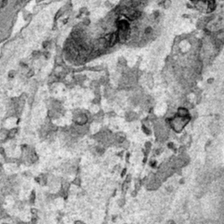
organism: Human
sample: Mitochondria in HCT116 cells